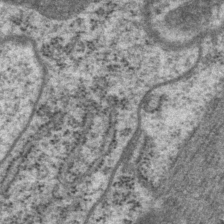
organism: P. pacificus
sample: Pharynx